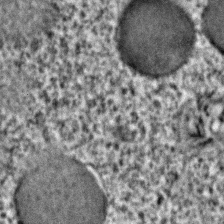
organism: C. elegans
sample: C. elegans embryo